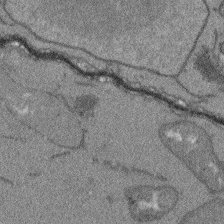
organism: Arabidopsis thaliana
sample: Root tip